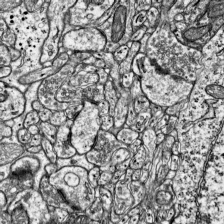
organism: Mouse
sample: Visual Cortex